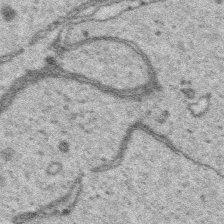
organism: Platynereis dumerilii